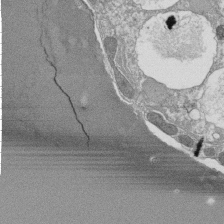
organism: Tetrahymena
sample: Cilia in tetrahymena